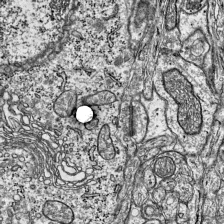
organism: Mouse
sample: Visual Cortex